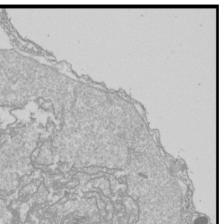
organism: Drosophila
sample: Cell division; meiosis; drosophila spermatocytes